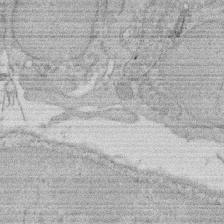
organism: Rat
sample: Salivary granule